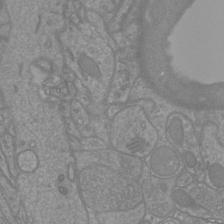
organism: Mouse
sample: Cortical neurons